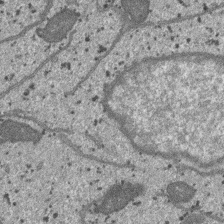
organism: Human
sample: Lung epithelial cells infected with SARS-CoV-2